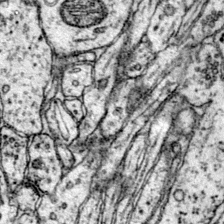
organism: Mouse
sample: Primary visual cortex